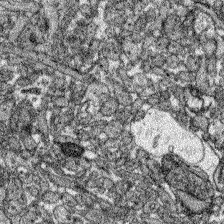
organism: Zebrafish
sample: Larval olfactory bulb